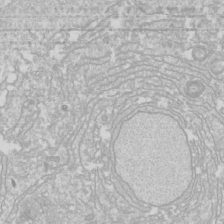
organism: Drosophila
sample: Cell division; meiosis; drosophila spermatocytes